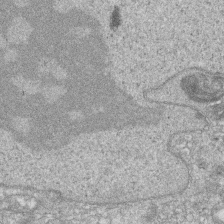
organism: Human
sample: HeLa cell HIV synapse